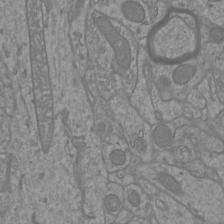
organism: Mouse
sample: Cortical neurons